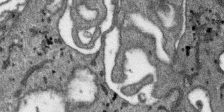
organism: Human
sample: Lung epithelial cells, uninfected (mock) control